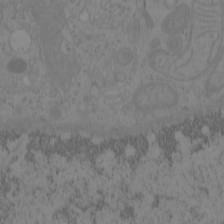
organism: Human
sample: HeLa cells